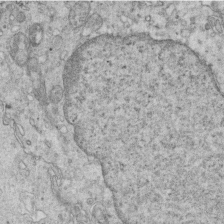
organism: Mouse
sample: Multiciliated cells